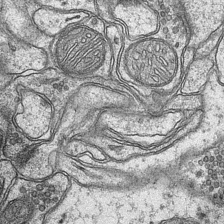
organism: Mouse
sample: CA1 Hippocampus